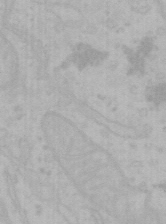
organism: Mouse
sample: Choroid plexus